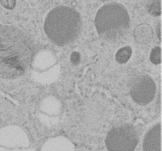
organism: C. elegans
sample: C. elegans embryo early stage